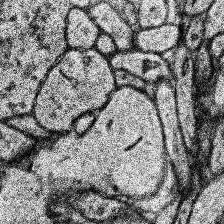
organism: Human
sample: Temporal Lobe